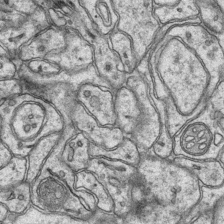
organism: Mouse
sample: CA1 Hippocampus